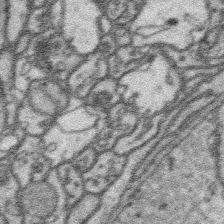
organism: Platynereis dumerilii